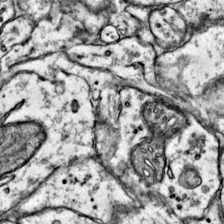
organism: Mouse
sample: Primary visual cortex